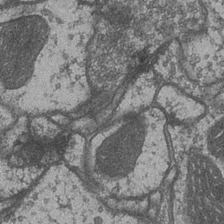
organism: Drosophila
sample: Optic medulla